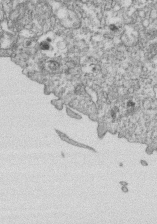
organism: Human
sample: HeLa cell HIV synapse